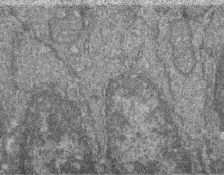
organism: Zebrafish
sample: Cilia; retinal pigment epithelium